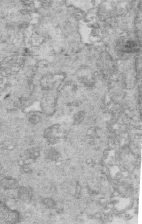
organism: Mouse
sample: Multiciliated cells